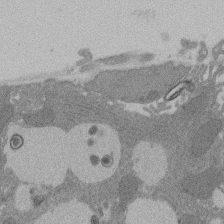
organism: Rat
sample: Salivary granule